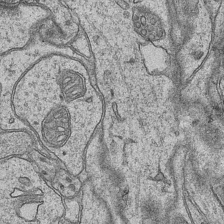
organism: Mouse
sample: CA1 Hippocampus